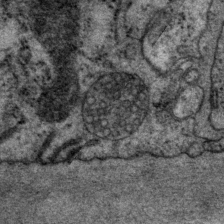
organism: P. pacificus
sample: Pharynx